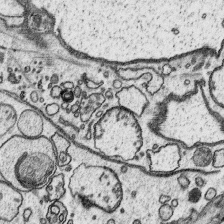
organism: Platynereis dumerilii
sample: Parapodia